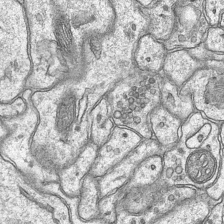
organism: Mouse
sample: CA1 Hippocampus